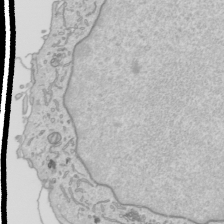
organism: Human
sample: Mitochondria in HCT116 cells